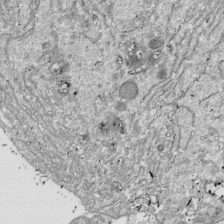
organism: Drosophila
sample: Cell division; meiosis; drosophila spermatocytes